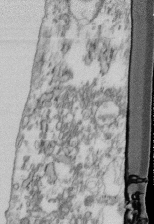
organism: Mouse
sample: Cilia; retinal pigment epithelium